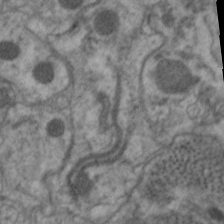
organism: C. elegans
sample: Pharynx